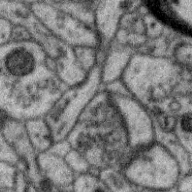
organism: Zebra finch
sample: Brain